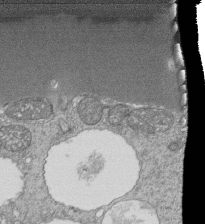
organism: Tetrahymena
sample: Cilia in tetrahymena